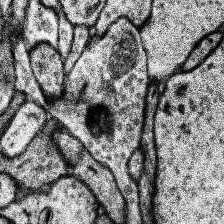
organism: Human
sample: Temporal Lobe